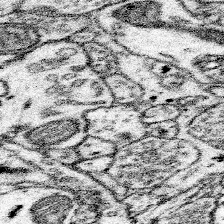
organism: Mouse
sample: Somatosensory cortex neuropil